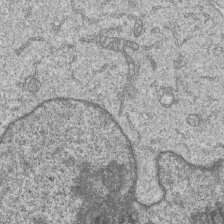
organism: Human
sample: MDA-MB-231 cells